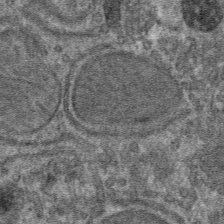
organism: Mouse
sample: Mouse hepatocytes